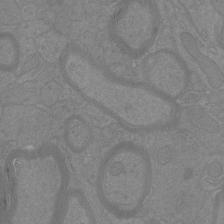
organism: Mouse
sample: Cortical neurons